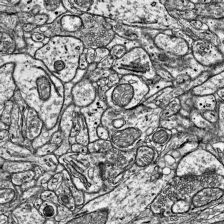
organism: Mouse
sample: Visual Cortex